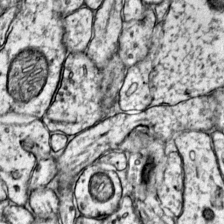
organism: Mouse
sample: Primary visual cortex